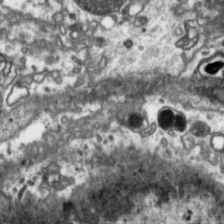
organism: Toxoplasma gondii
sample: Parasites in a vacuole inside a host cell